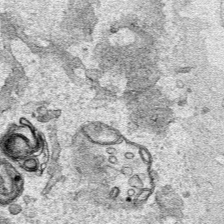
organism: Human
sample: Mitochondria in HCT116 cells